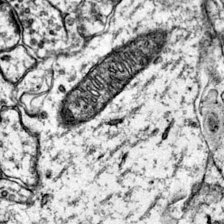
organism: Mouse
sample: Primary visual cortex